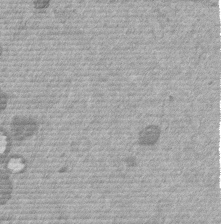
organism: Mouse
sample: Dividing mouse embryo 1 cell stage